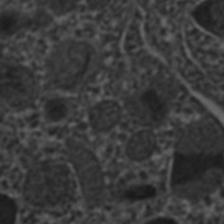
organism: C. elegans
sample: C. elegans embryo